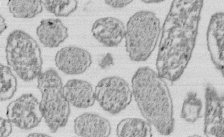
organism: E. coli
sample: Bacterial nucleoid